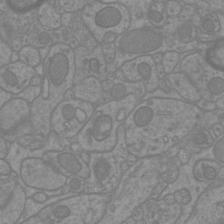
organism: Mouse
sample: Cortical neurons